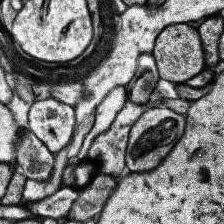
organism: Human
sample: Temporal Lobe